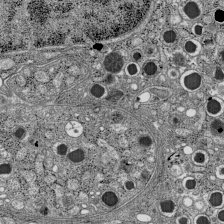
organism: C57BL Mouse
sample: Pancreatic islet